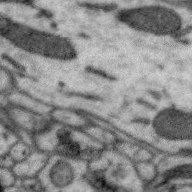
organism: Zebra finch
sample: Brain